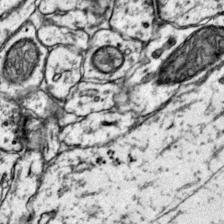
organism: Mouse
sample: Primary visual cortex